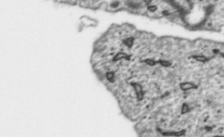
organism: Toxoplasma gondii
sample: Parasites in a vacuole inside a host cell